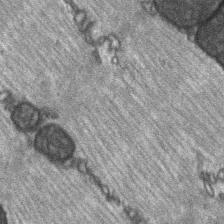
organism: C57BL Mouse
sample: Soleus